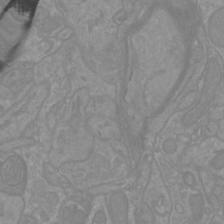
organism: Mouse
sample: Cortical neurons